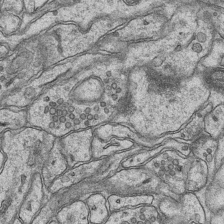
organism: Mouse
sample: CA1 Hippocampus